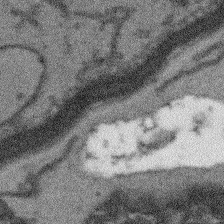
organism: Arabidopsis thaliana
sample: Root tip